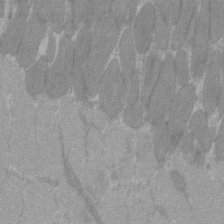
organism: C57BL Mouse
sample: Tibialis anterior muscle cell